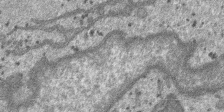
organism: Human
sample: Lung epithelial cells infected with SARS-CoV-2